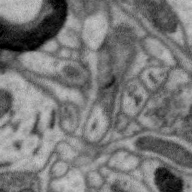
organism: Zebra finch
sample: Brain